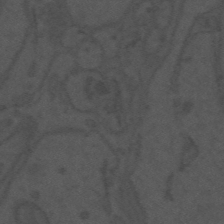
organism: Mouse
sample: Suprachiasmatic nucleus